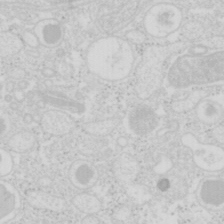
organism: Mouse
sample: Pancreas